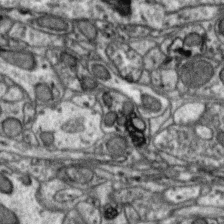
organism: Zebra finch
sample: Brain